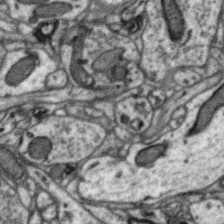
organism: Zebra finch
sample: Brain